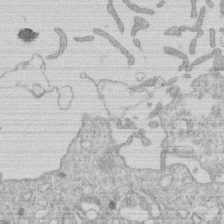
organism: Human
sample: Macrophage cells